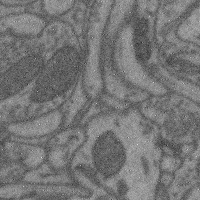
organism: Mouse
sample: Cerebral cortex